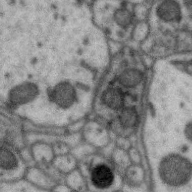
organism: Zebra finch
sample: Brain